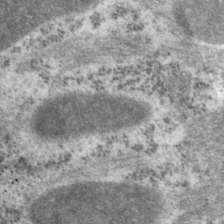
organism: P. pacificus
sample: Pharynx